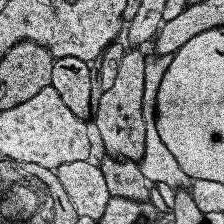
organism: Human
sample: Temporal Lobe